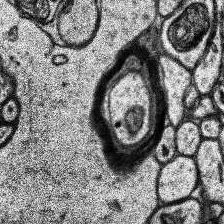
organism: Human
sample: Temporal Lobe